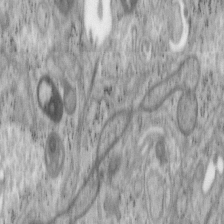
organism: Human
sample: HeLa cells